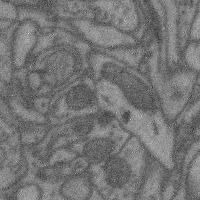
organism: Mouse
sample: Cerebral cortex